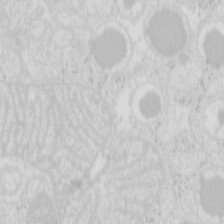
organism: Mouse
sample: Pancreas